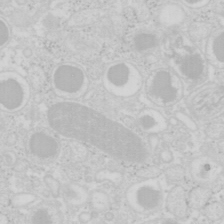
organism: Mouse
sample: Pancreas